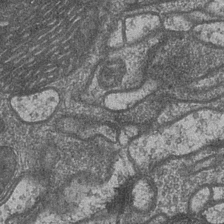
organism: Drosophila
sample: Optic medulla